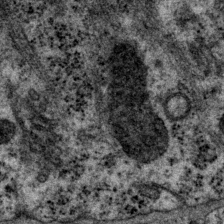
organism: P. pacificus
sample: Pharynx